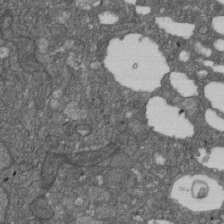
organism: Drosophila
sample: Nephrocyte